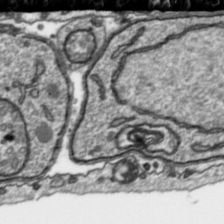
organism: Toxoplasma gondii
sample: Parasites in a vacuole inside a host cell